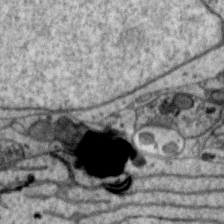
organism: Zebra finch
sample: Brain